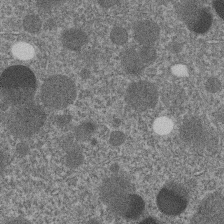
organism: C. elegans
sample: C. elegans embryo early stage